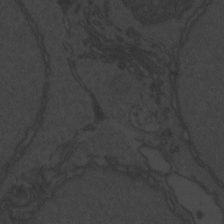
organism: Zebrafish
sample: Macrophage infected with Toxoplasma gondii